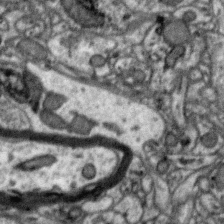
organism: Zebra finch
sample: Brain